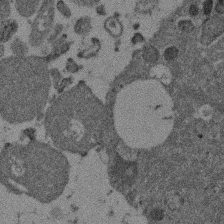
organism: Mouse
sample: Dividing mouse embryo 1 cell stage